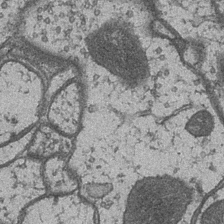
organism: Drosophila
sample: Optic medulla